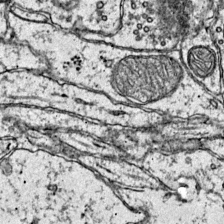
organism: Mouse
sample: Primary visual cortex